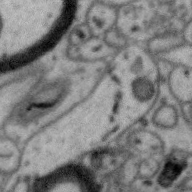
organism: Zebra finch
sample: Brain